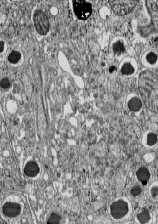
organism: C57BL Mouse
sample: Pancreatic islet